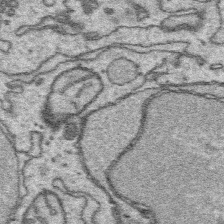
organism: Platynereis dumerilii